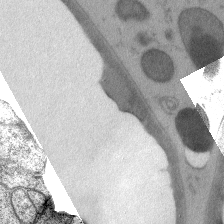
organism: C. elegans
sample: Pharynx